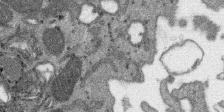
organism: Human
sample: Lung epithelial cells infected with SARS-CoV-2